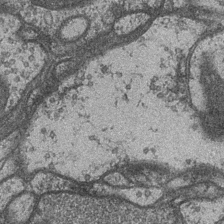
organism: Drosophila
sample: Optic medulla